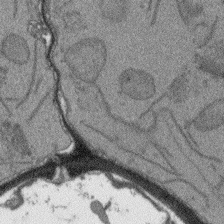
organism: Arabidopsis thaliana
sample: Root tip